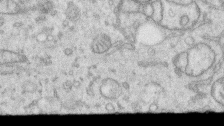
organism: Human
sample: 1205lu cells